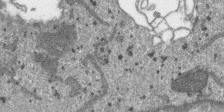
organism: Human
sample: Lung epithelial cells infected with SARS-CoV-2